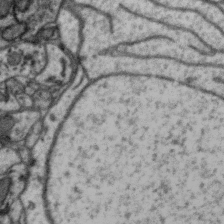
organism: Zebra finch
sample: Brain